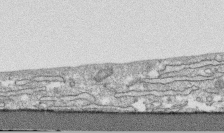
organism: Human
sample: CRL-1474